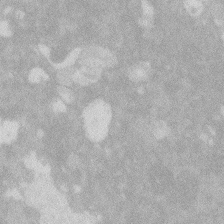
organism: Zebrafish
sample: Macrophage